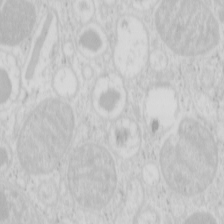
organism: Mouse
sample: Pancreas